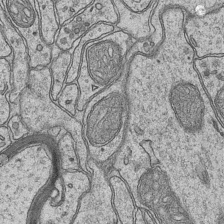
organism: Mouse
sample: CA1 Hippocampus